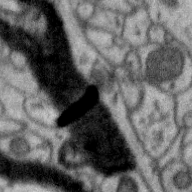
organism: Zebra finch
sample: Brain